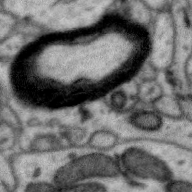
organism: Zebra finch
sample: Brain